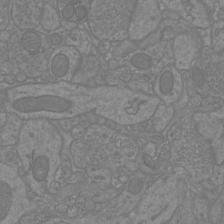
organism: Mouse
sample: Cortical neurons